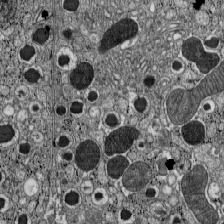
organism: C57BL Mouse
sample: Pancreatic islet